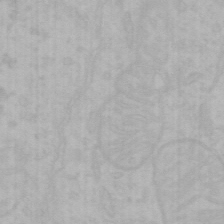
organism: Mouse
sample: Choroid plexus